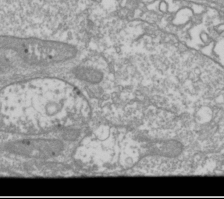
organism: Drosophila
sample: Cell division; meiosis; drosophila spermatocytes